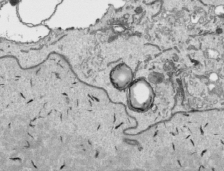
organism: Human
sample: Mitochondria in HCT116 cells